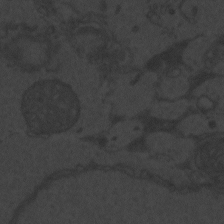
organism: Zebrafish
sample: Macrophage infected with Toxoplasma gondii